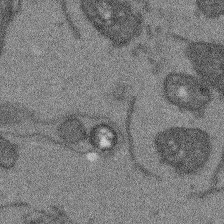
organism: Arabidopsis thaliana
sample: Root tip